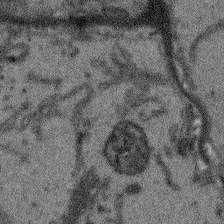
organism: Arabidopsis thaliana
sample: Root tip